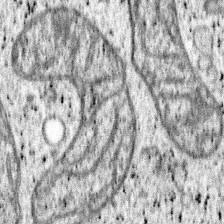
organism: Human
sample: HeLa cells